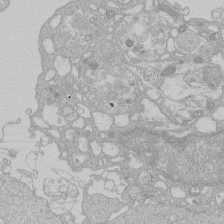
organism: Human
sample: Macrophage cells